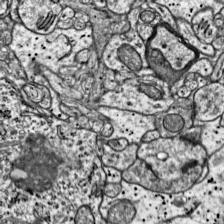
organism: Mouse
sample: Visual Cortex